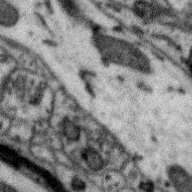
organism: Zebra finch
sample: Brain